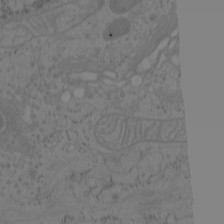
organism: Human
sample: HeLa cells